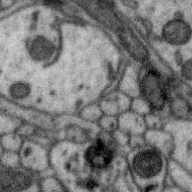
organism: Zebra finch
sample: Brain